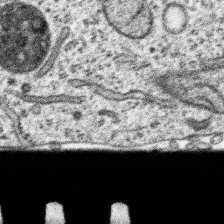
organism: Human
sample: HeLa cells